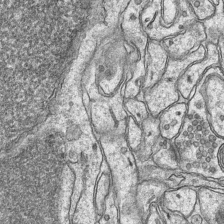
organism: Mouse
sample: CA1 Hippocampus